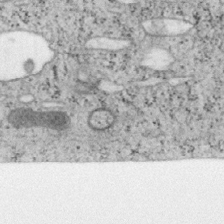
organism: Mouse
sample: OT-I killer T cells with ID8 ovarian cancer cells